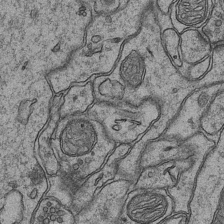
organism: Mouse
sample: CA1 Hippocampus